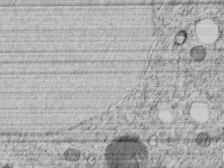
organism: C. elegans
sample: C. elegans embryo early stage